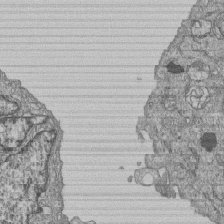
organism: Human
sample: MDA-MB-231 cells